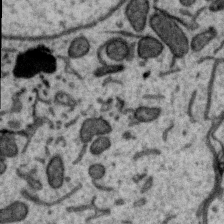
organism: Zebra finch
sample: Brain